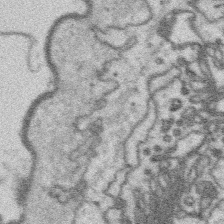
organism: Platynereis dumerilii